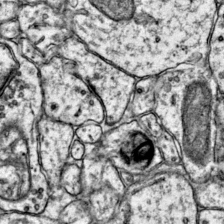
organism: Mouse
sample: Primary visual cortex